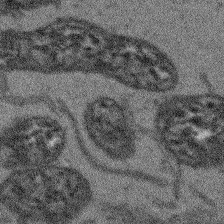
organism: Arabidopsis thaliana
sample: Root tip